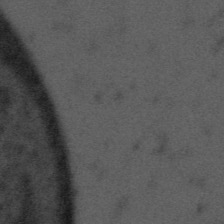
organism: Tuwongella immobilis